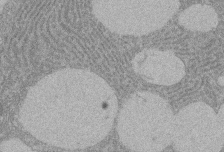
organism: Rat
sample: Salivary granule